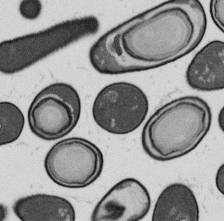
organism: B. subtilis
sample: Bacterial spore